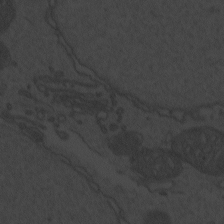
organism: Zebrafish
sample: Macrophage infected with Toxoplasma gondii